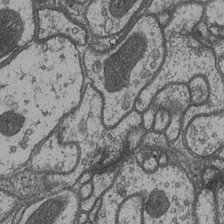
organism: Drosophila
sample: Optic medulla